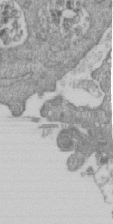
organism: Mouse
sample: ED-1 cell nuclei; centrioles